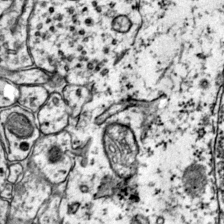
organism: Mouse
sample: Primary visual cortex